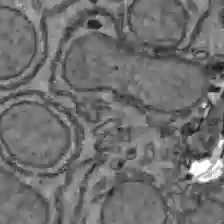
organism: C57BL Mouse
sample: Liver